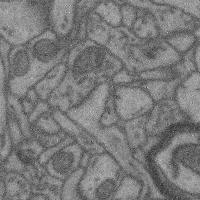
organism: Mouse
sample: Cerebral cortex